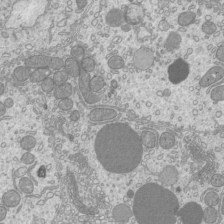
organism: Mouse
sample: Cilia; mouse epididymis